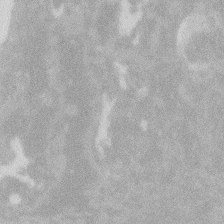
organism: Zebrafish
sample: Macrophage